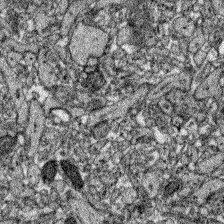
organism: Zebrafish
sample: Larval olfactory bulb